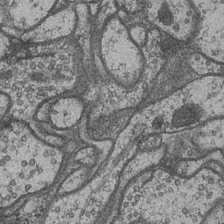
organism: Drosophila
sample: Optic medulla